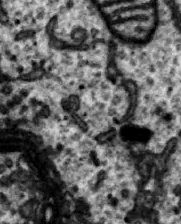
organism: Human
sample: HeLa cells